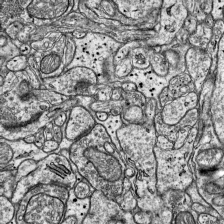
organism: Mouse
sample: Visual Cortex